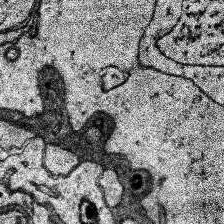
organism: Human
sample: Temporal Lobe